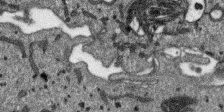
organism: Human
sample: Lung epithelial cells infected with SARS-CoV-2